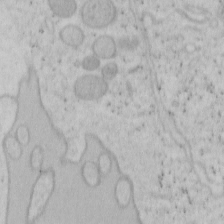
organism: Human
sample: HeLa cells